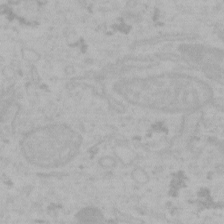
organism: Mouse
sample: Choroid plexus